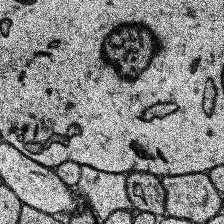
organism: Human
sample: Temporal Lobe